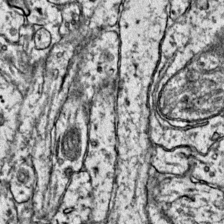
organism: Mouse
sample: Primary visual cortex